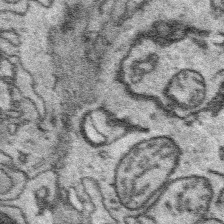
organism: Platynereis dumerilii